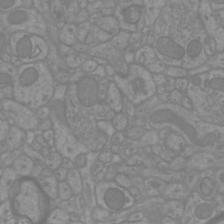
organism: Mouse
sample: Cortical neurons